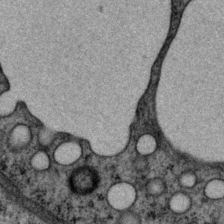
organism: P. pacificus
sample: Pharynx